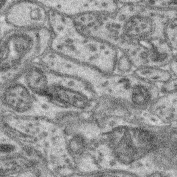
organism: Mouse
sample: Retina